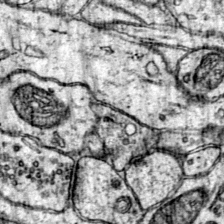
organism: Mouse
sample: Primary visual cortex